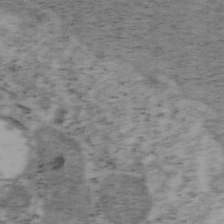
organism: Mouse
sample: OT-I killer T cells with ID8 ovarian cancer cells